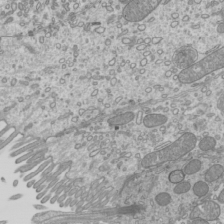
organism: Mouse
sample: Cilia; mouse epididymis